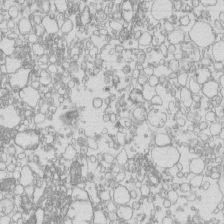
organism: Mouse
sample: Macrophages